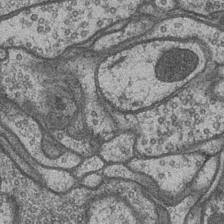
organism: Drosophila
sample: Optic medulla